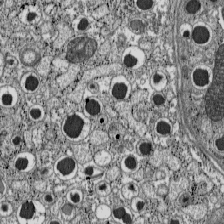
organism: C57BL Mouse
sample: Pancreatic islet